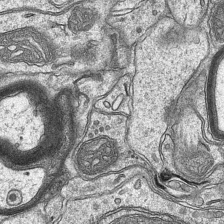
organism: Mouse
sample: CA1 Hippocampus